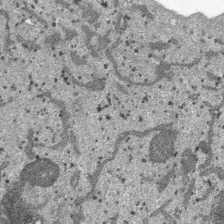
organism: Human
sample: Lung epithelial cells infected with SARS-CoV-2